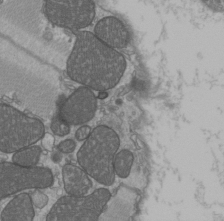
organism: C57BL Mouse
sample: Heart